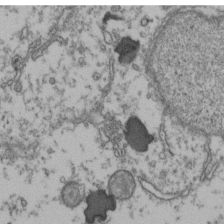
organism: Human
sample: Activated Jurkat CD4+ T cells